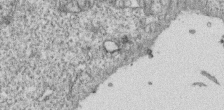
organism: Human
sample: HeLa cell HIV synapse